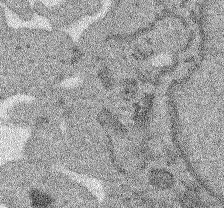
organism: Human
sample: HeLa cells